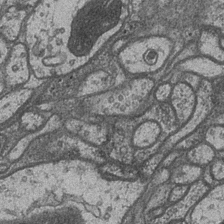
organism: Drosophila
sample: Optic medulla